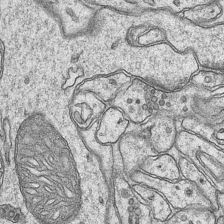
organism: Mouse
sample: CA1 Hippocampus